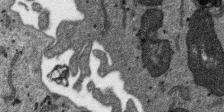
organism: Human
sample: Lung epithelial cells infected with SARS-CoV-2